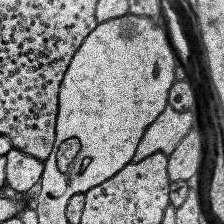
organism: Human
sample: Temporal Lobe